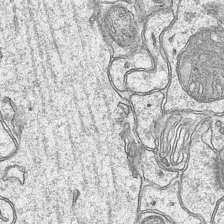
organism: Mouse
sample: CA1 Hippocampus